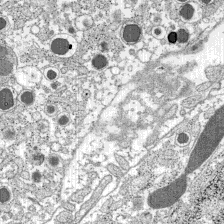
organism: C57BL Mouse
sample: Pancreatic islet